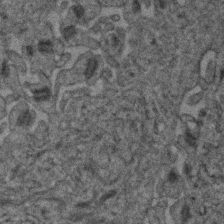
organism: Human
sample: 1205lu cells